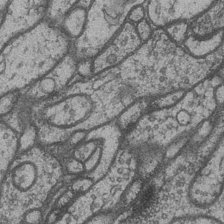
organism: Drosophila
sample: Optic medulla